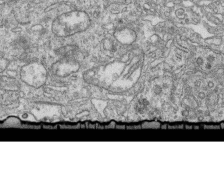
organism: Human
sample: HeLa cell HIV synapse